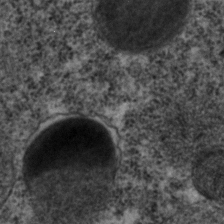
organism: C. elegans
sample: C. elegans embryo